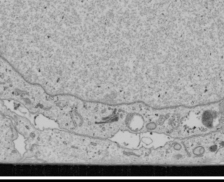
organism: Human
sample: Mitochondria in U2OS cells